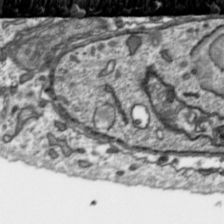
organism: Toxoplasma gondii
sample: Parasites in a vacuole inside a host cell